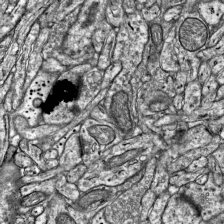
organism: Mouse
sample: Visual Cortex